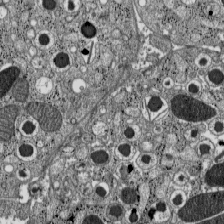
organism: C57BL Mouse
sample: Pancreatic islet